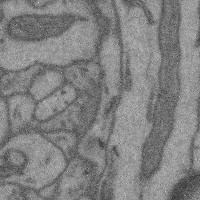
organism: Mouse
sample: Cerebral cortex